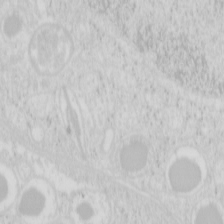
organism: Mouse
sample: Pancreas